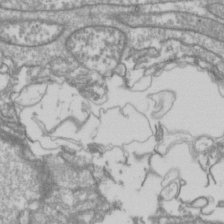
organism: Drosophila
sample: Cell division; meiosis; drosophila spermatocytes